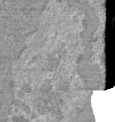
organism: Mouse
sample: Glomerulus